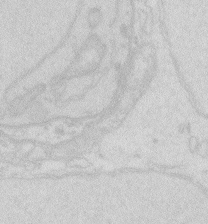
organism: Zebrafish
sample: Macrophage